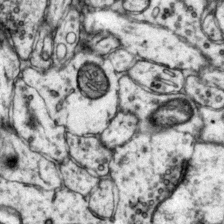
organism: Mouse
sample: Primary visual cortex